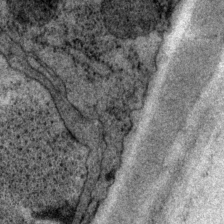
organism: P. pacificus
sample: Pharynx